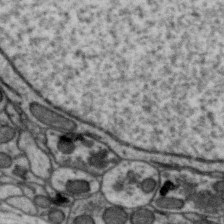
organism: Zebra finch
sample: Brain